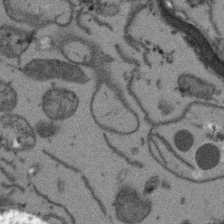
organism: Arabidopsis thaliana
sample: Root tip